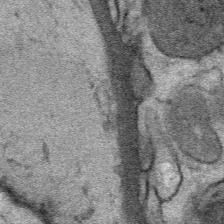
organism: Mouse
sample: Mouse Salivary gland